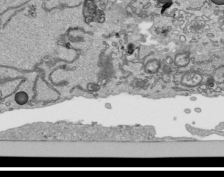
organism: Human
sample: Mitochondria in HCT116 cells